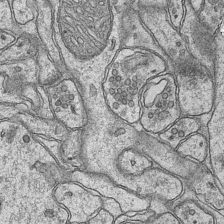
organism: Mouse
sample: CA1 Hippocampus